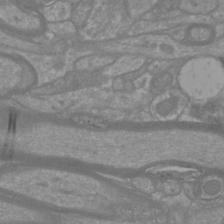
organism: Mouse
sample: Cortical neurons